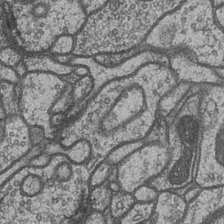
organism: Drosophila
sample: Optic medulla